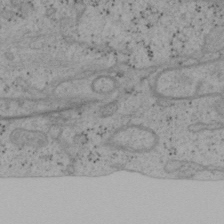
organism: Human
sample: HeLa cells